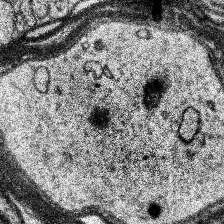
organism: Human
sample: Temporal Lobe